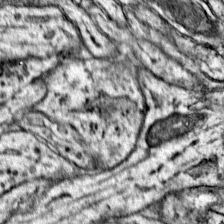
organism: Mouse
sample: Primary visual cortex